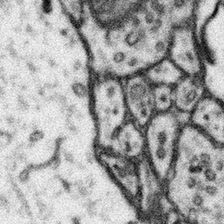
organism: Mouse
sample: Somatosensory cortex neuropil